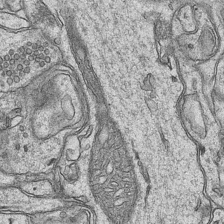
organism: Mouse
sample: CA1 Hippocampus